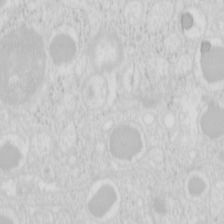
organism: Mouse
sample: Pancreas